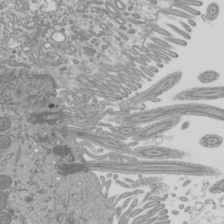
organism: Mouse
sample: Cilia; mouse epididymis